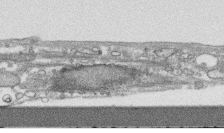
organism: Human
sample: CRL-1474